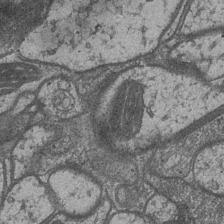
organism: Drosophila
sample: Optic medulla